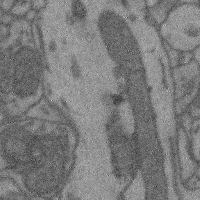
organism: Mouse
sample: Cerebral cortex